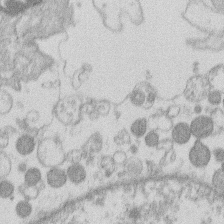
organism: Human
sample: Macrophage cells